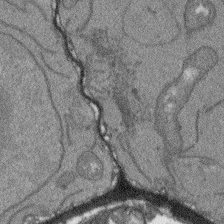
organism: Arabidopsis thaliana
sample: Root tip